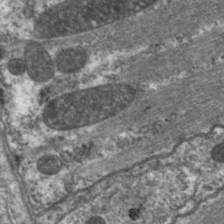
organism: C. elegans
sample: Pharynx